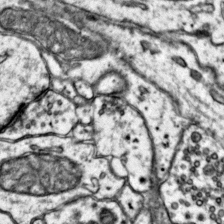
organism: Mouse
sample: Primary visual cortex